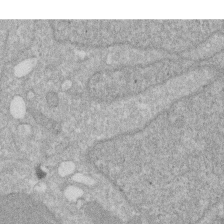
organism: Human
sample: HIV infected U937 cells